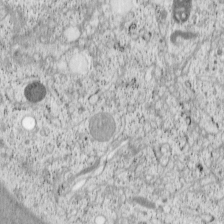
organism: African green monkey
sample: COS-7 cells